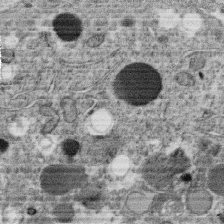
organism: C. elegans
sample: C. elegans oocyte; sperm cells